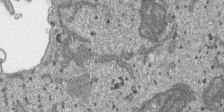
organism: Human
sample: Lung epithelial cells infected with SARS-CoV-2